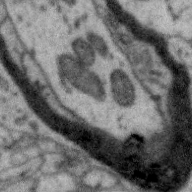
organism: Zebra finch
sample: Brain